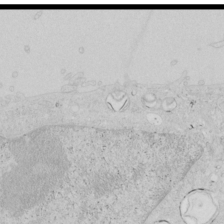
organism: Human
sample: Mitochondria in HCT116 cells